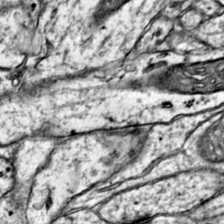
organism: Mouse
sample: Primary visual cortex